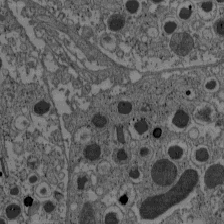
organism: C57BL Mouse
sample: Pancreatic islet